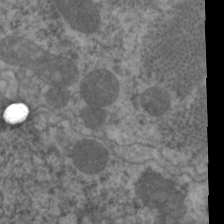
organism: C. elegans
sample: Pharynx